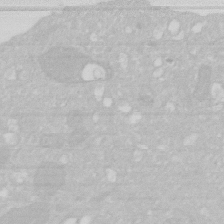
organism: Human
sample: HIV infected U937 cells